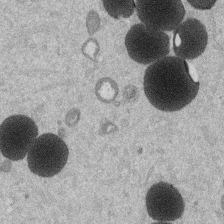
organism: Mouse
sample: Dividing mouse embryo 1 cell stage